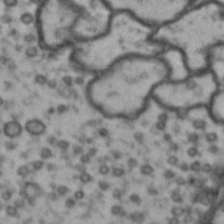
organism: Drosophila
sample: Brain